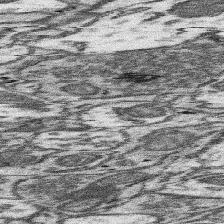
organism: Mouse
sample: Somatosensory cortex neuropil